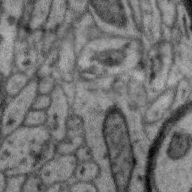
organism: Zebra finch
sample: Brain